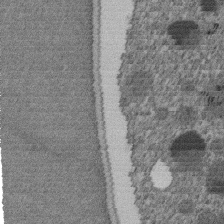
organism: C. elegans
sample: C. elegans embryo early stage